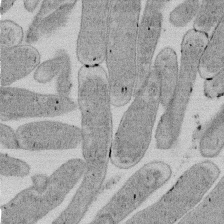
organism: E. coli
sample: Bacterial nucleoid